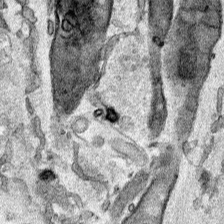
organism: Human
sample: Mitochondria in HCT116 cells